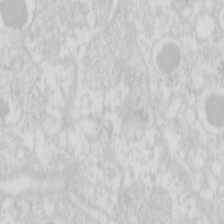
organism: Mouse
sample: Pancreas